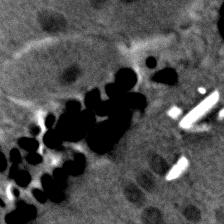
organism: Zebrafish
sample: Zebrafish embryo